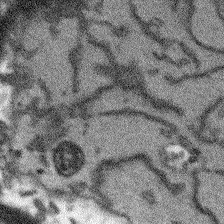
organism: Arabidopsis thaliana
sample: Root tip